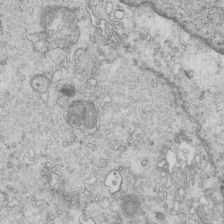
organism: Mouse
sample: Multiciliated cells